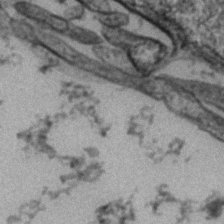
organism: Zebrafish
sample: Zebrafish embryo